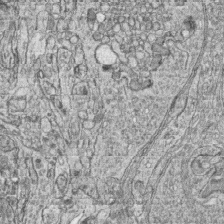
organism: Zebrafish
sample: synaptic ribbons in rod cells and cone cells